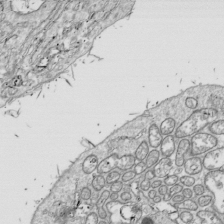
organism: Drosophila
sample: Cell division; meiosis; drosophila spermatocytes